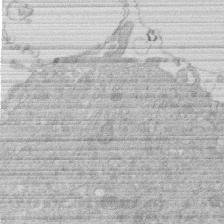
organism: Human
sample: Macrophage cells